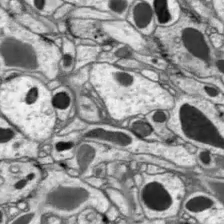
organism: Drosophila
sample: Optic lobe